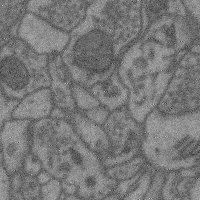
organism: Mouse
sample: Cerebral cortex